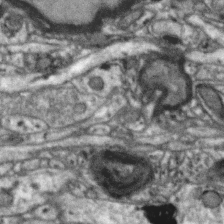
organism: Zebra finch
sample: Brain